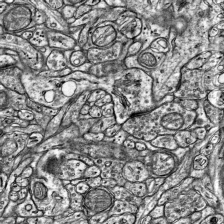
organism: Mouse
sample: Visual Cortex